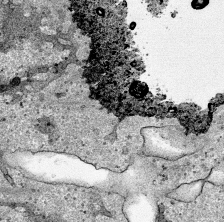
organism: Human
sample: Mitochondria in HCT116 cells